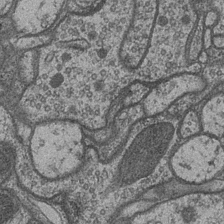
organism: Drosophila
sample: Optic medulla